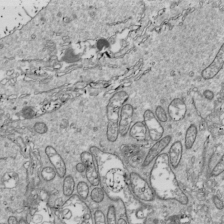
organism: Drosophila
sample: Cell division; meiosis; drosophila spermatocytes